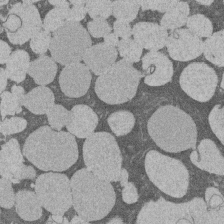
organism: Rat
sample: Salivary granule